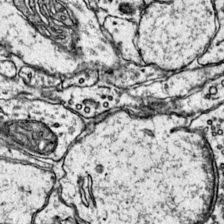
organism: Mouse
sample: Primary visual cortex